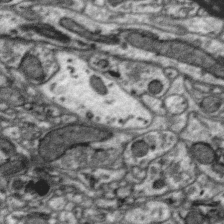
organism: Zebra finch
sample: Brain